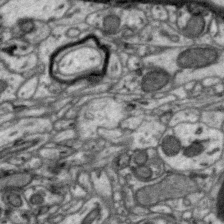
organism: Zebra finch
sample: Brain